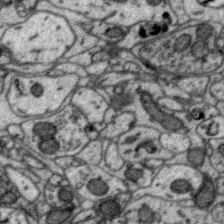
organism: Zebra finch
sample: Brain